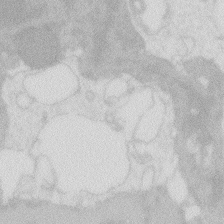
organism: Zebrafish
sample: Macrophage